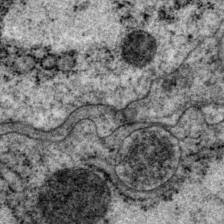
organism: P. pacificus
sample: Pharynx